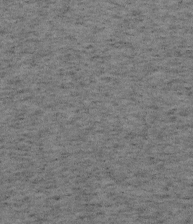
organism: Mouse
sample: OT-I killer T cells with ID8 ovarian cancer cells